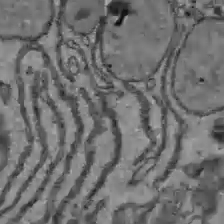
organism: C57BL Mouse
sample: Liver